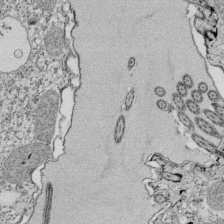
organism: Tetrahymena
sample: Cilia in tetrahymena